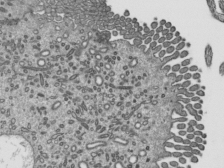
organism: Mouse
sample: Mouse epididymis efferent ductule cilia